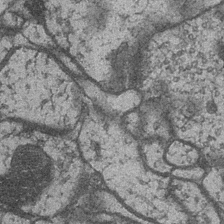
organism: Drosophila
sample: Optic medulla